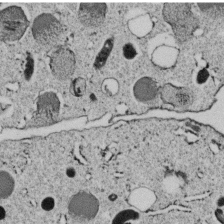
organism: C. elegans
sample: C. elegans embryo early stage